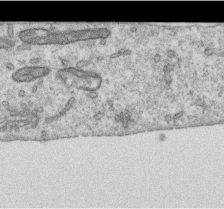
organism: Human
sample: Centriole in RPE cells